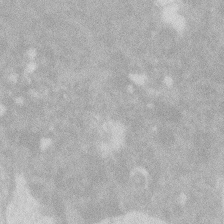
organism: Zebrafish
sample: Macrophage